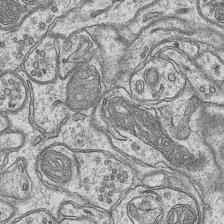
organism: Mouse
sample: CA1 Hippocampus